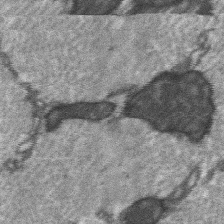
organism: C57BL Mouse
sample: Soleus